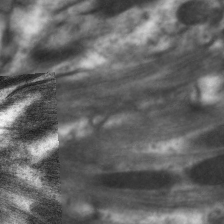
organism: C. elegans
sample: Pharynx